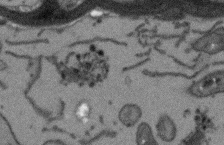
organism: Arabidopsis thaliana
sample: Root tip